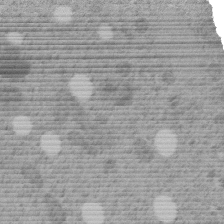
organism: C. elegans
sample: C. elegans embryo early stage